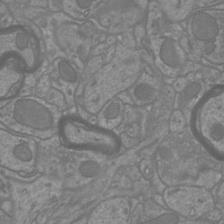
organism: Mouse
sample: Cortical neurons